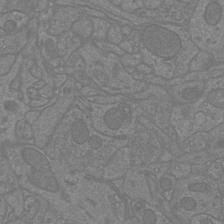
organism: Mouse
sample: Cortical neurons